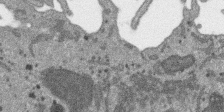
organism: Human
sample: Lung epithelial cells infected with SARS-CoV-2